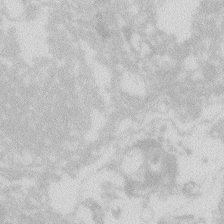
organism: Zebrafish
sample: Macrophage